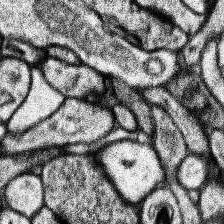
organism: Human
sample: Temporal Lobe